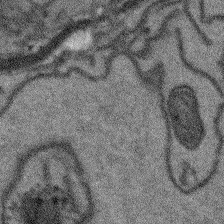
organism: Arabidopsis thaliana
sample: Root tip